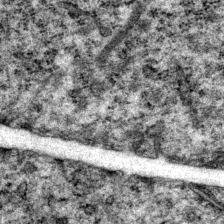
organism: P. pacificus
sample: Pharynx